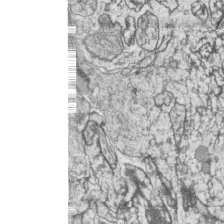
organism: Zebrafish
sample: synaptic ribbons in rod cells and cone cells